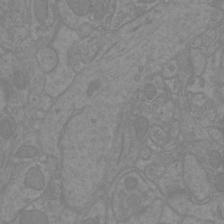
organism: Mouse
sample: Cortical neurons